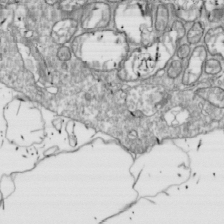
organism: Drosophila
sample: Cell division; meiosis; drosophila spermatocytes